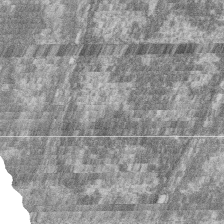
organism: Zebrafish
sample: Cilia; retinal pigment epithelium